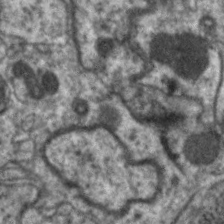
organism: C. elegans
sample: Pharynx